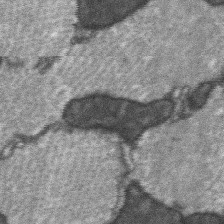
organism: C57BL Mouse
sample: Soleus